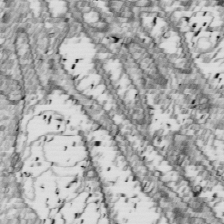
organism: Drosophila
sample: Cell division; meiosis; drosophila spermatocytes